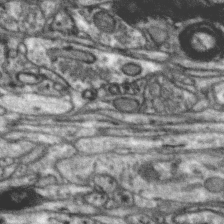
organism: Zebra finch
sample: Brain